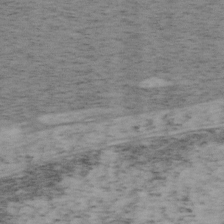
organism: Mouse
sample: OT-I killer T cells with ID8 ovarian cancer cells